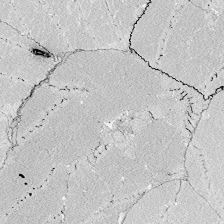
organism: Zebrafish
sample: Whole-Brain